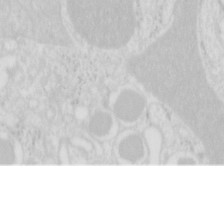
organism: Mouse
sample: Pancreas